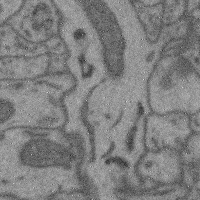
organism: Mouse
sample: Cerebral cortex